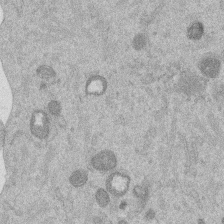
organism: Mouse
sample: Dividing mouse embryo 1 cell stage